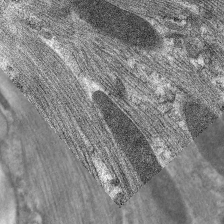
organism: C. elegans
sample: Pharynx